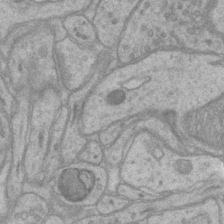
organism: Mouse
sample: CA1 Hippocampus